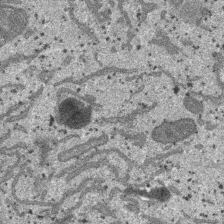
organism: Human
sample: Lung epithelial cells infected with SARS-CoV-2